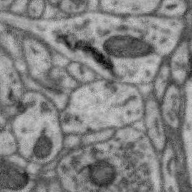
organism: Zebra finch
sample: Brain